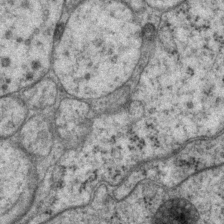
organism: P. pacificus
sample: Pharynx